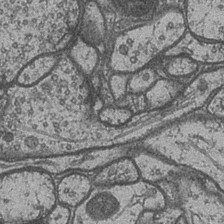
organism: Drosophila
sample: Optic medulla